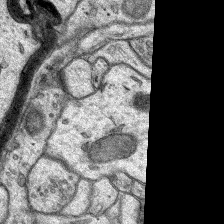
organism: Rat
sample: Hippocampus